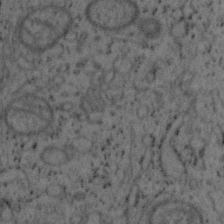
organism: Human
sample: HeLa cells